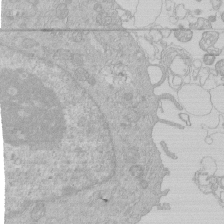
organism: Human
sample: Macrophage cells